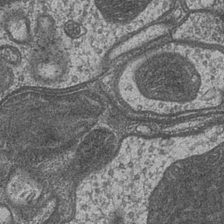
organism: Drosophila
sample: Optic medulla